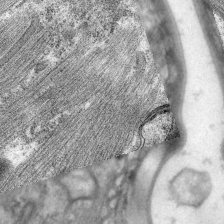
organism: C. elegans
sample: Pharynx